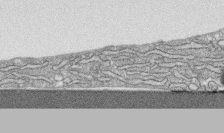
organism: Human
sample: CRL-1474